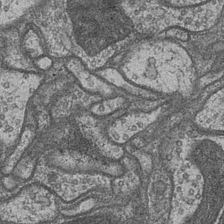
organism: Drosophila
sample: Optic medulla